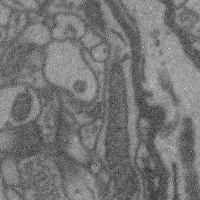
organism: Mouse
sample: Cerebral cortex